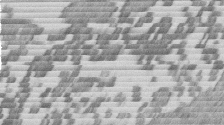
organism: Mouse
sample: Dividing mouse embryo 1 cell stage